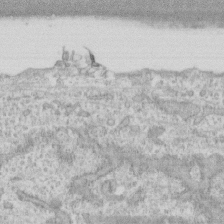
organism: Human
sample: CRL-1474